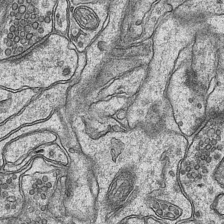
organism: Mouse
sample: CA1 Hippocampus